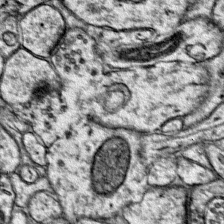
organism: Mouse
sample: Primary visual cortex